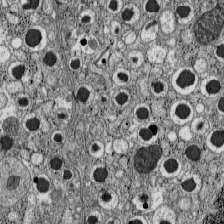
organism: C57BL Mouse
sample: Pancreatic islet